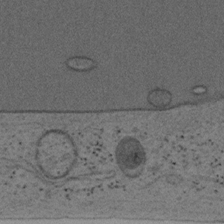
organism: Human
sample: HeLa cells